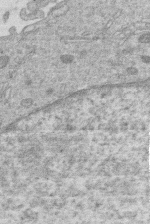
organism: Human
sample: Macrophage cells